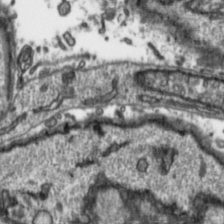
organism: Toxoplasma gondii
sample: Parasites in a vacuole inside a host cell